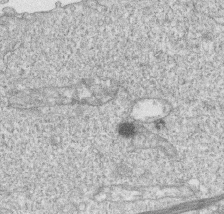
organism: Human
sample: HeLa cell HIV synapse